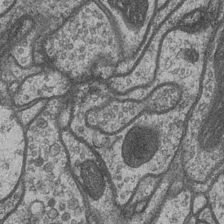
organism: Drosophila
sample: Optic medulla